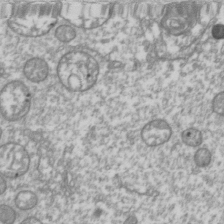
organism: Drosophila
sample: Cell division; meiosis; drosophila spermatocytes